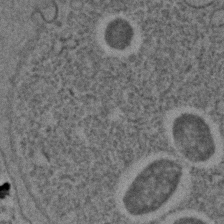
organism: C. elegans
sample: C. elegans embryo